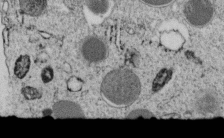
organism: C. elegans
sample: C. elegans embryo early stage